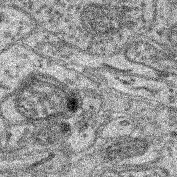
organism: Mouse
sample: Retina